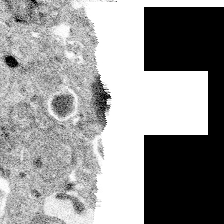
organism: Spongilla lacustris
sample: Multiple